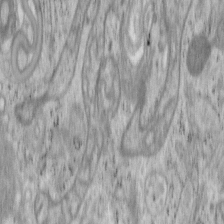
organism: Human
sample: HeLa cells